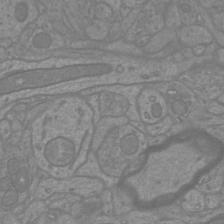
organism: Mouse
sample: Cortical neurons